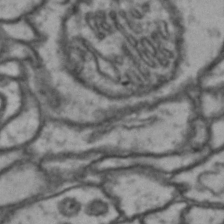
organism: Drosophila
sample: Brain